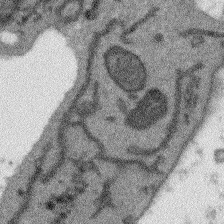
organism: Arabidopsis thaliana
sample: Root tip